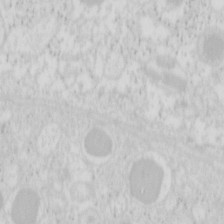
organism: Mouse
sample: Pancreas